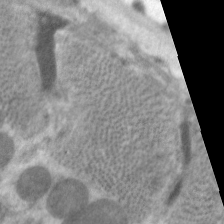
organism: C. elegans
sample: Pharynx